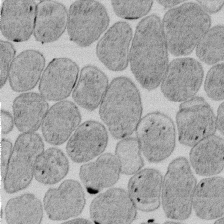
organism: E. coli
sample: Bacterial nucleoid